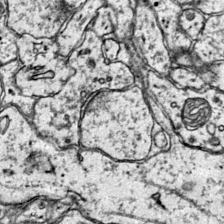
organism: Mouse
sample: Primary visual cortex